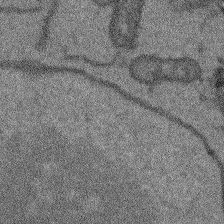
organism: Arabidopsis thaliana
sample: Root tip